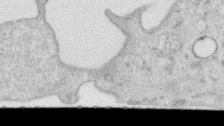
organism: Human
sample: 1205lu cells